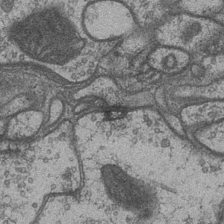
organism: Drosophila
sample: Optic medulla